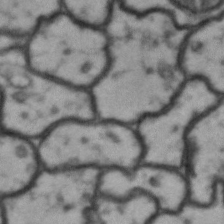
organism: Drosophila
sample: Brain